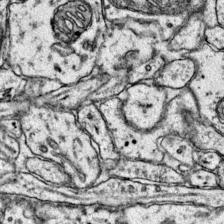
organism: Mouse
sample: Primary visual cortex